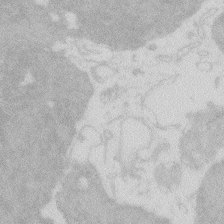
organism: Zebrafish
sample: Macrophage